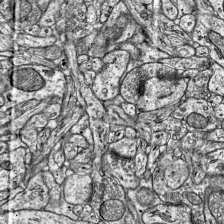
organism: Mouse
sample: Visual Cortex